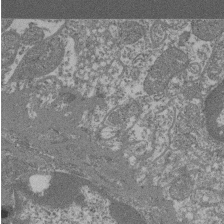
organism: Mouse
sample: Glomerulus